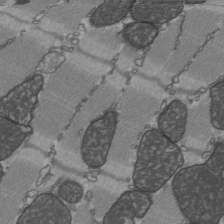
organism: C57BL Mouse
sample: Heart